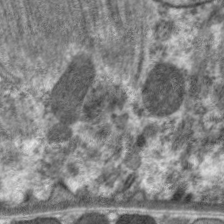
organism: C. elegans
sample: Pharynx